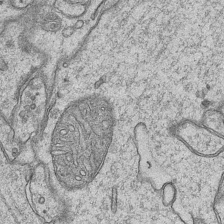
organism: Mouse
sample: CA1 Hippocampus